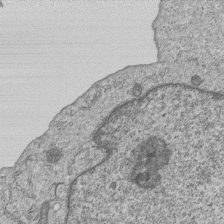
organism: Human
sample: MDA-MB-231 cells